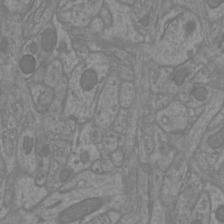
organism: Mouse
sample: Cortical neurons